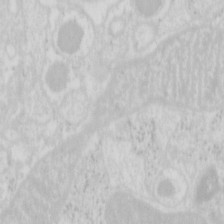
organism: Mouse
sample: Pancreas